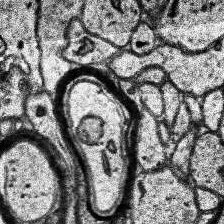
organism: Human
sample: Temporal Lobe